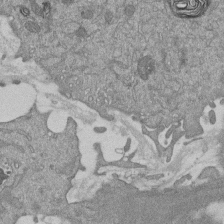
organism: Mouse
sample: ED-1 cell nuclei; centrioles